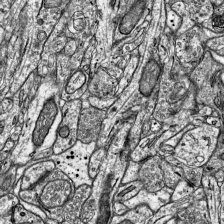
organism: Mouse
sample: Visual Cortex